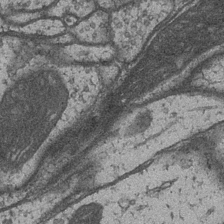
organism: Drosophila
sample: Optic medulla